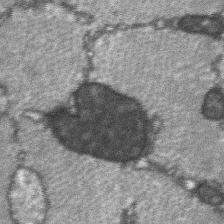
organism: C57BL Mouse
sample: Soleus